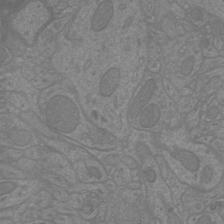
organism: Mouse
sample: Cortical neurons